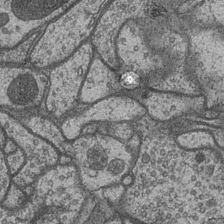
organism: Drosophila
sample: Optic medulla